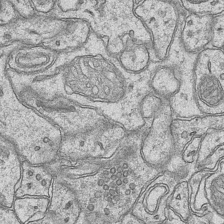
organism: Mouse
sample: CA1 Hippocampus